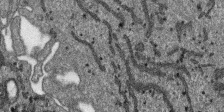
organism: Human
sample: Lung epithelial cells infected with SARS-CoV-2